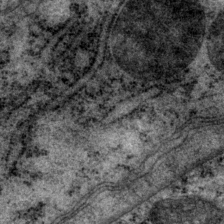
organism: P. pacificus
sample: Pharynx